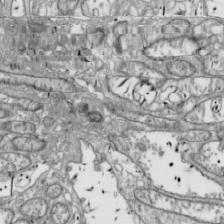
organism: Drosophila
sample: Cell division; meiosis; drosophila spermatocytes